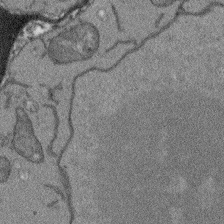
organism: Arabidopsis thaliana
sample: Root tip